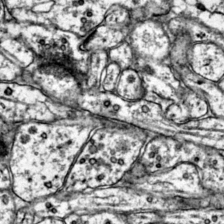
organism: Mouse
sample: Primary visual cortex